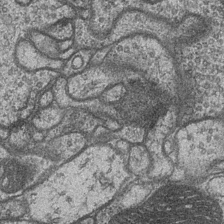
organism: Drosophila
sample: Optic medulla